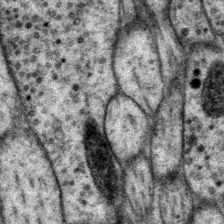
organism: P. pacificus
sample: Pharynx